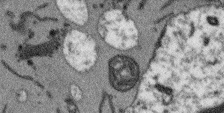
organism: Arabidopsis thaliana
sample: Root tip